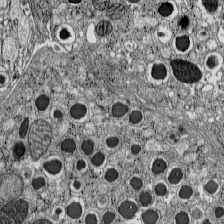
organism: C57BL Mouse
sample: Pancreatic islet